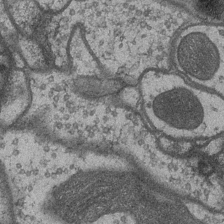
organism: Drosophila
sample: Optic medulla